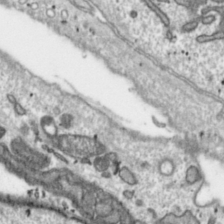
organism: Toxoplasma gondii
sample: Parasites in a vacuole inside a host cell